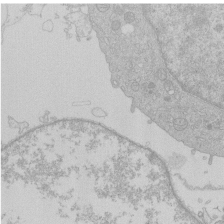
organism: Human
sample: Macrophage cells